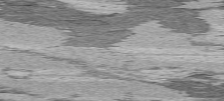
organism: C57BL Mouse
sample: Heart